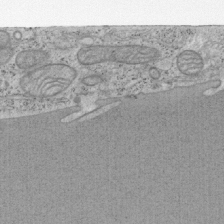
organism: Human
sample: HeLa cells